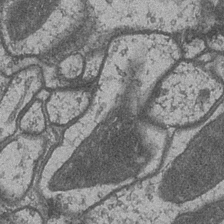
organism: Drosophila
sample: Optic medulla